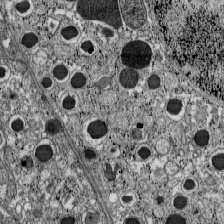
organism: C57BL Mouse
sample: Pancreatic islet